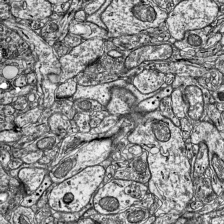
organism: Mouse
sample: Visual Cortex